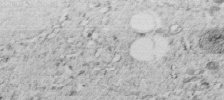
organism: C. elegans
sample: C. elegans embryo early stage